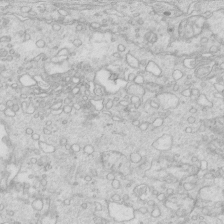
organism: Mouse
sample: Multiciliated cells